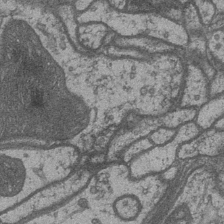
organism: Drosophila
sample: Optic medulla